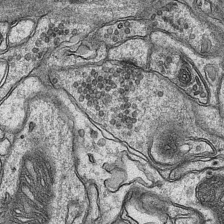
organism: Mouse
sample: CA1 Hippocampus